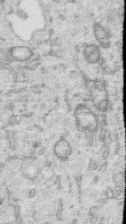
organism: Human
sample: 1205lu cells